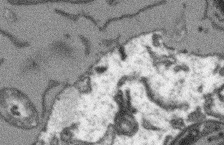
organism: Arabidopsis thaliana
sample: Root tip